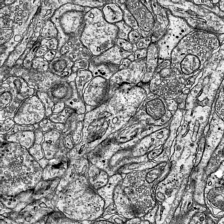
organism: Mouse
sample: Visual Cortex